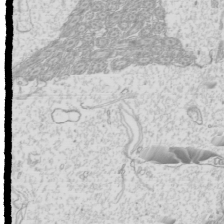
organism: Mouse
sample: Cilia; mouse epididymis